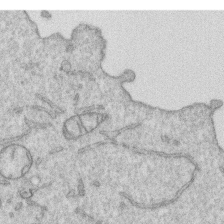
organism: Human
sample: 1205lu cells